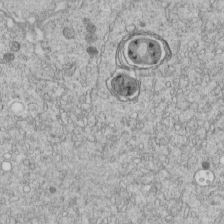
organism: C. elegans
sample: C. elegans embryo early stage